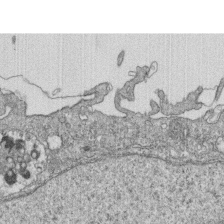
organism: Human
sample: HeLa cell HIV synapse